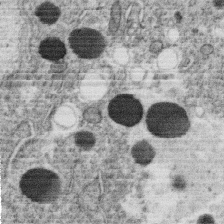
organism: C. elegans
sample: C. elegans oocyte; sperm cells